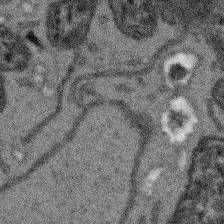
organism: Arabidopsis thaliana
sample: Root tip